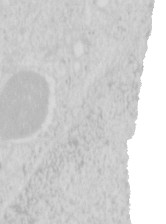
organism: Mouse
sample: Pancreas